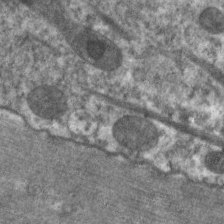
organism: C. elegans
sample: Pharynx